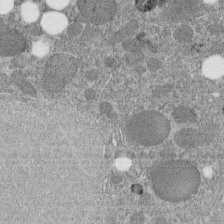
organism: C. elegans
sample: C. elegans embryo early stage